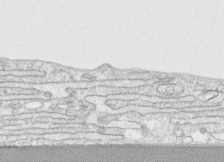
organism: Human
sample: CRL-1474